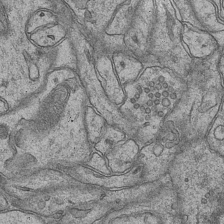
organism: Mouse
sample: CA1 Hippocampus